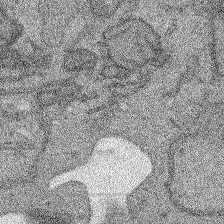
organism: Human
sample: HeLa cells